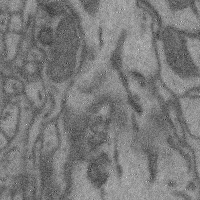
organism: Mouse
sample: Cerebral cortex